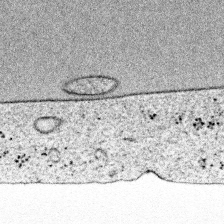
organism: Human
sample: HeLa cells